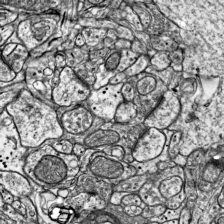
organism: Mouse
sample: Visual Cortex